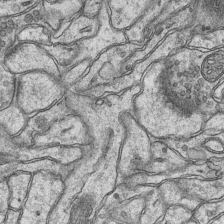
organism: Mouse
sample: CA1 Hippocampus